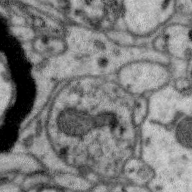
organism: Zebra finch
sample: Brain